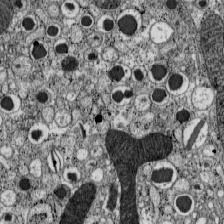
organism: C57BL Mouse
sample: Pancreatic islet